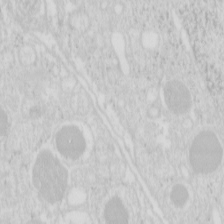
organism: Mouse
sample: Pancreas